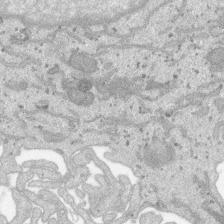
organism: Human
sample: Lung epithelial cells infected with SARS-CoV-2